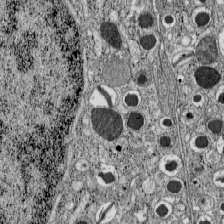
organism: C57BL Mouse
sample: Pancreatic islet